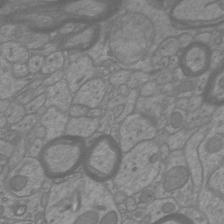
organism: Mouse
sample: Cortical neurons